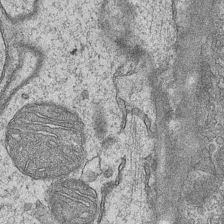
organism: Mouse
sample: CA1 Hippocampus